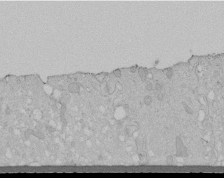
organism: Human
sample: Melanocyte Keratinocyte synapse skin construct